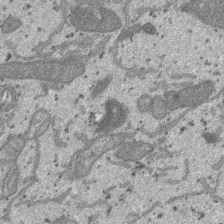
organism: Human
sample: Lung epithelial cells infected with SARS-CoV-2